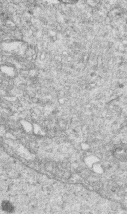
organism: Human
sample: HeLa cell HIV synapse